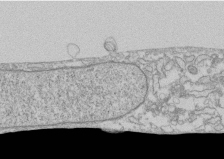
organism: Human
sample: CRL-1474